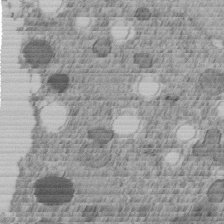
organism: C. elegans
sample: C. elegans embryo early stage